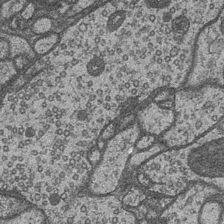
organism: Drosophila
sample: Optic medulla